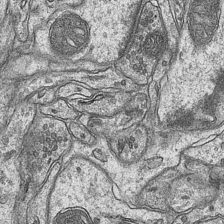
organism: Mouse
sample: CA1 Hippocampus